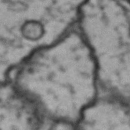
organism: Drosophila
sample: Brain